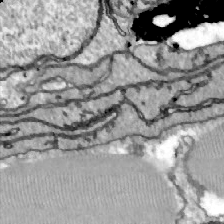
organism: Zebrafish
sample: Actinotrichia fibers